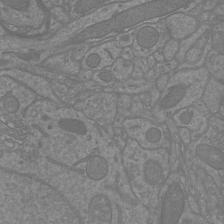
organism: Mouse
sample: Cortical neurons